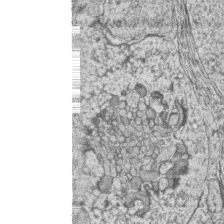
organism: Zebrafish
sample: synaptic ribbons in rod cells and cone cells